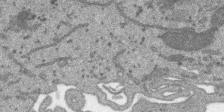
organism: Human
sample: Lung epithelial cells infected with SARS-CoV-2